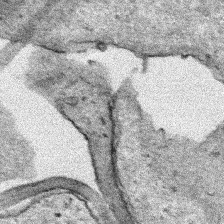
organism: Human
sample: Mitochondria in HCT116 cells